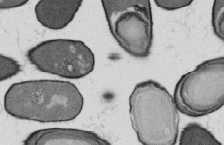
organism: B. subtilis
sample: Bacterial spore